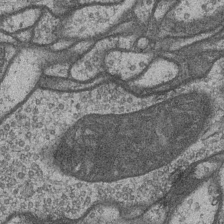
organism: Drosophila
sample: Optic medulla